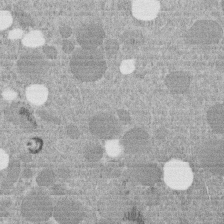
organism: C. elegans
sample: C. elegans embryo early stage